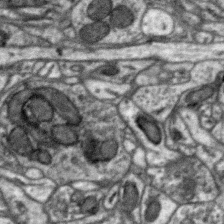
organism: Zebra finch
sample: Brain